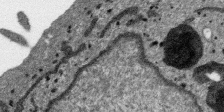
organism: Human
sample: Lung epithelial cells, uninfected (mock) control